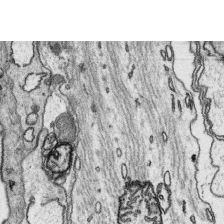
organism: Platynereis dumerilii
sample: Parapodia